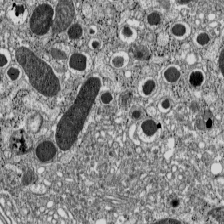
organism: C57BL Mouse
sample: Pancreatic islet